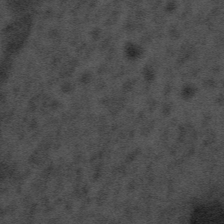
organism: Tuwongella immobilis